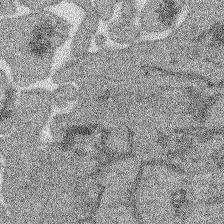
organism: Human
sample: HeLa cells